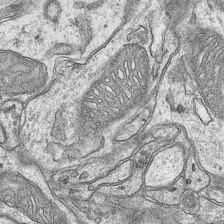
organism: Mouse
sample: CA1 Hippocampus